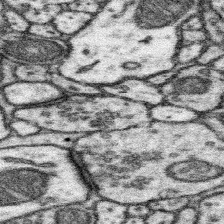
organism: Mouse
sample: Somatosensory cortex neuropil